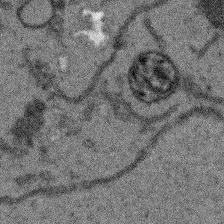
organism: Arabidopsis thaliana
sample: Root tip